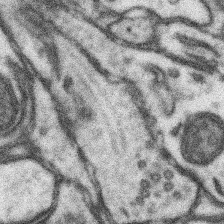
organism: Mouse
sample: Somatosensory cortex neuropil